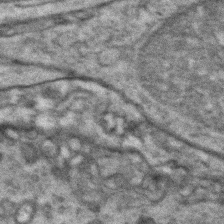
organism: Zebrafish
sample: Zebrafish embryo